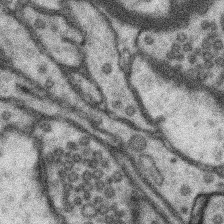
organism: Mouse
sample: Somatosensory cortex neuropil